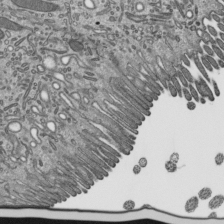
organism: Mouse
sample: Mouse epididymis efferent ductule cilia